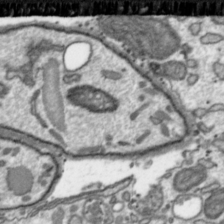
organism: Toxoplasma gondii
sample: Parasites in a vacuole inside a host cell